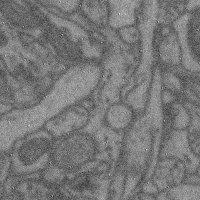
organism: Mouse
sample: Cerebral cortex